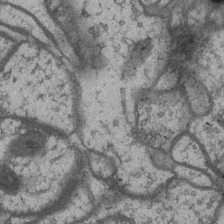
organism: Drosophila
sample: Optic medulla